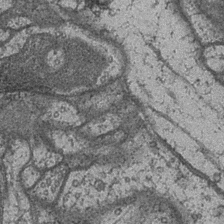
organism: Drosophila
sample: Optic medulla